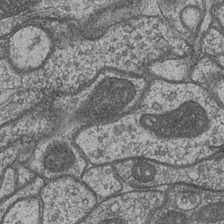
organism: Drosophila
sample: Optic medulla